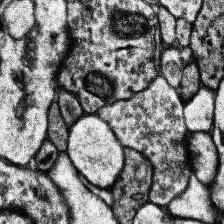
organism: Human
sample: Temporal Lobe